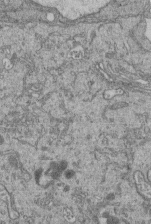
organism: Human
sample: Retinal organoid Rod and Cone cells